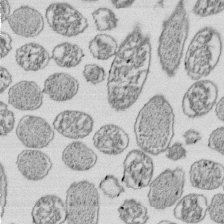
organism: E. coli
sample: Bacterial nucleoid